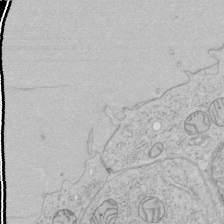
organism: Human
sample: Mitochondria in HCT116 cells